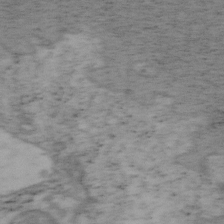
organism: Mouse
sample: OT-I killer T cells with ID8 ovarian cancer cells